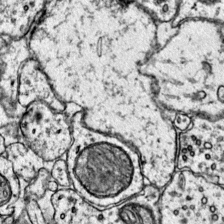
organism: Mouse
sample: Primary visual cortex